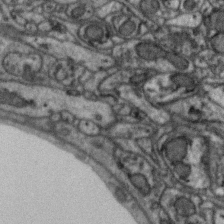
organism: Zebra finch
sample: Brain